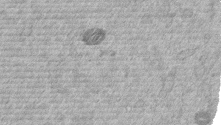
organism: Mouse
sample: Dividing mouse embryo 1 cell stage